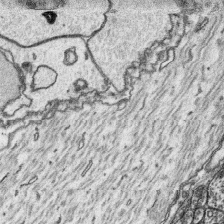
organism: Platynereis dumerilii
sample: Parapodia